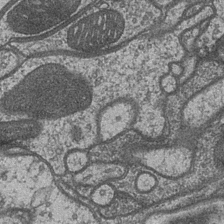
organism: Drosophila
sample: Optic medulla